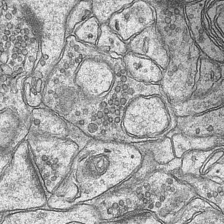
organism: Mouse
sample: CA1 Hippocampus